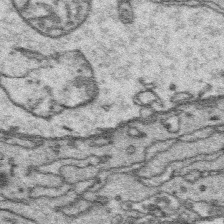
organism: Platynereis dumerilii